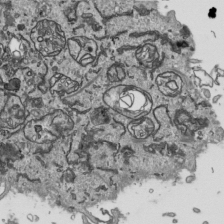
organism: Human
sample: Mitochondria in HCT116 cells